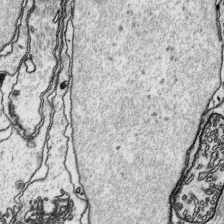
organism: Platynereis dumerilii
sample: Parapodia